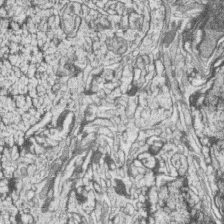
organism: Zebrafish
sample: synaptic ribbons in rod cells and cone cells